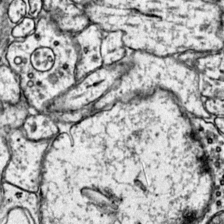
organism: Mouse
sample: Primary visual cortex